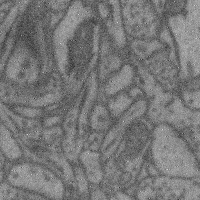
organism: Mouse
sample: Cerebral cortex